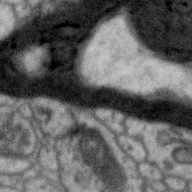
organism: Zebra finch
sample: Brain